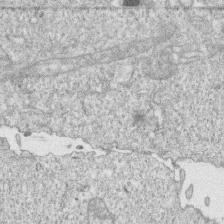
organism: Human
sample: HeLa cell HIV synapse